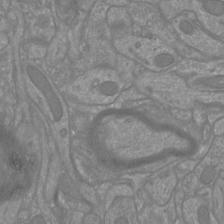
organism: Mouse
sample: Cortical neurons